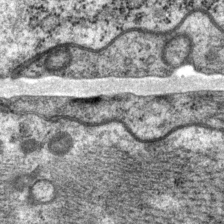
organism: P. pacificus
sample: Pharynx